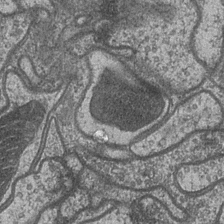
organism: Drosophila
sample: Optic medulla